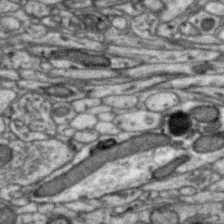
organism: Zebra finch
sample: Brain